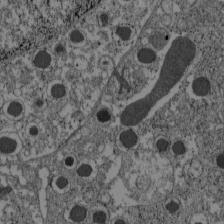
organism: C57BL Mouse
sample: Pancreatic islet